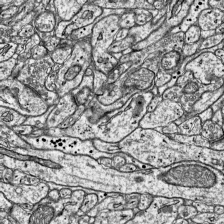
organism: Mouse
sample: Visual Cortex